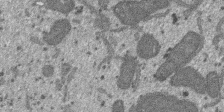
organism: Human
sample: Lung epithelial cells infected with SARS-CoV-2